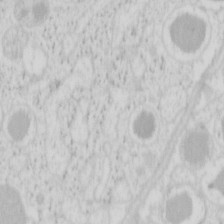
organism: Mouse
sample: Pancreas